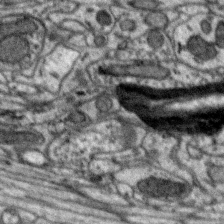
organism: Zebra finch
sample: Brain